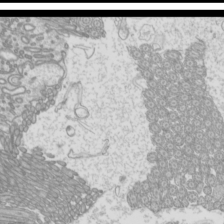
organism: Mouse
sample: Cilia; mouse epididymis